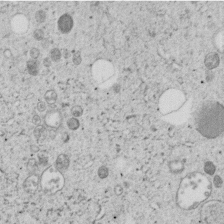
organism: C. elegans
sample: C. elegans embryo early stage